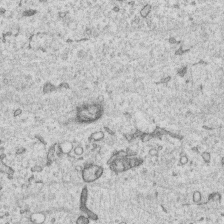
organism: Human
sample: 1205lu cells